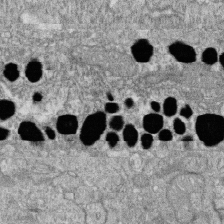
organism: Zebrafish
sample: Cilia; retinal pigment epithelium